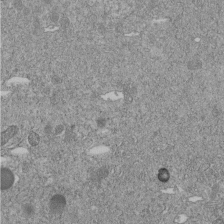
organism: C. elegans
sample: C. elegans embryo early stage